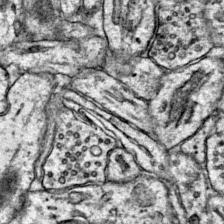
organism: Mouse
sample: Primary visual cortex